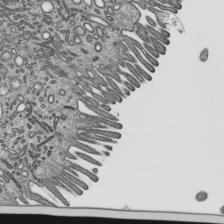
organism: Mouse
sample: Mouse epididymis efferent ductule cilia